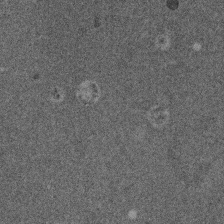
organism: Mouse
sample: Dividing mouse embryo 1 cell stage